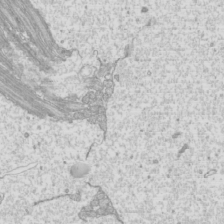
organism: Mouse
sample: Cilia; mouse epididymis